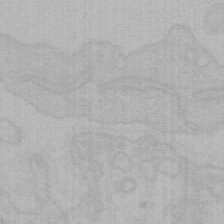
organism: Mouse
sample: Choroid plexus